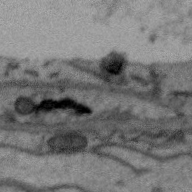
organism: Zebra finch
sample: Brain